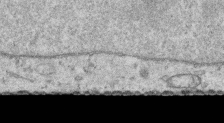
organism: Human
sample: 1205lu cells